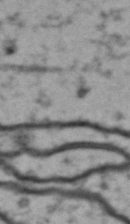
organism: Drosophila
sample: Brain